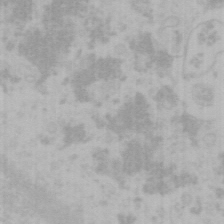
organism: Mouse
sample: Choroid plexus